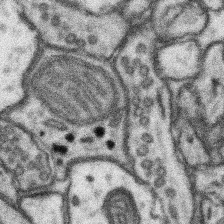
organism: Mouse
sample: Somatosensory cortex neuropil